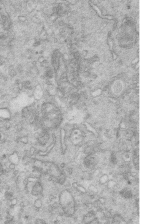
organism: Mouse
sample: Multiciliated cells